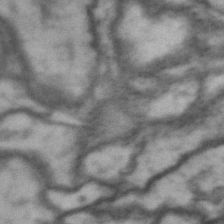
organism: Drosophila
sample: Brain